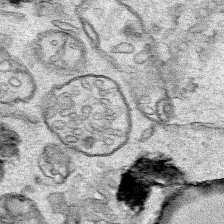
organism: Human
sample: Mitochondria in HCT116 cells